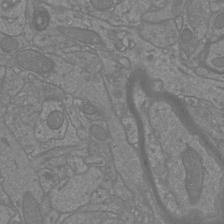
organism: Mouse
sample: Cortical neurons